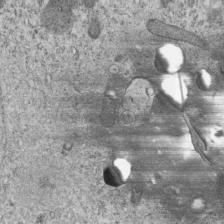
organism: C. elegans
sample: C. elegans embryo early stage